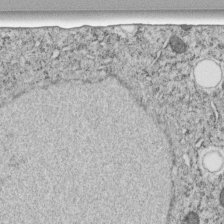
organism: C. elegans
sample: C. elegans embryo early stage